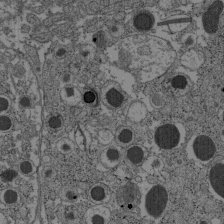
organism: C57BL Mouse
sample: Pancreatic islet